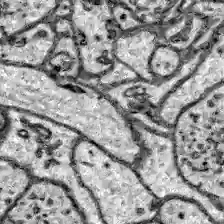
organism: Zebrafish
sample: Brain